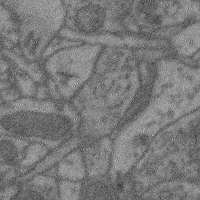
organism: Mouse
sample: Cerebral cortex